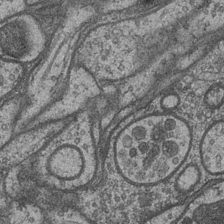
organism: Drosophila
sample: Optic medulla